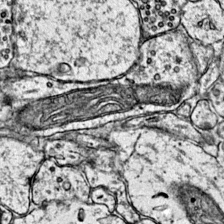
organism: Mouse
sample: Primary visual cortex